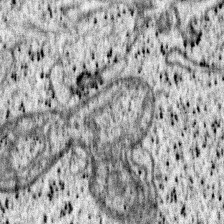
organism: Human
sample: HeLa cells